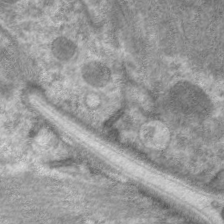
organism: C. elegans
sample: Pharynx